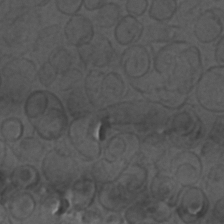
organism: C. elegans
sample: C. elegans embryo